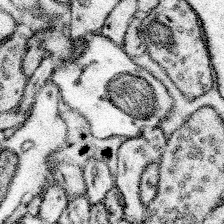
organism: Mouse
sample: Somatosensory cortex neuropil